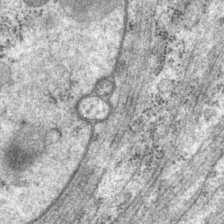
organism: P. pacificus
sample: Pharynx